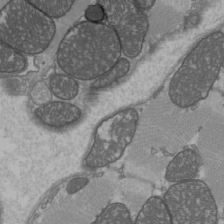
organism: C57BL Mouse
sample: Heart